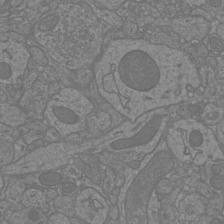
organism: Mouse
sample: Cortical neurons